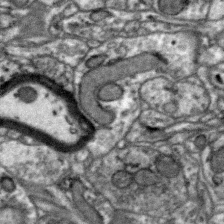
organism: Zebra finch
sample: Brain